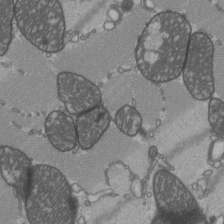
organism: C57BL Mouse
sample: Heart